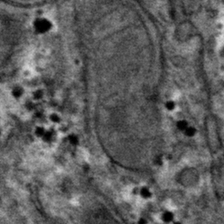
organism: Mouse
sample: Mouse hepatocytes